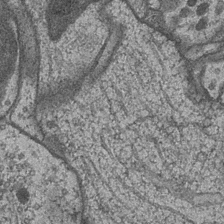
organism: Drosophila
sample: Optic medulla